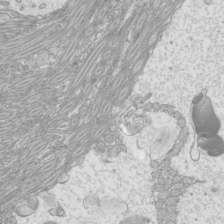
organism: Mouse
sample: Cilia; mouse epididymis